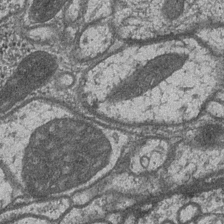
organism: Drosophila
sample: Optic medulla